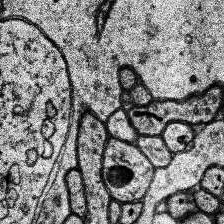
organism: Human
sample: Temporal Lobe